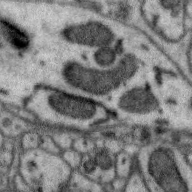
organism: Zebra finch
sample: Brain